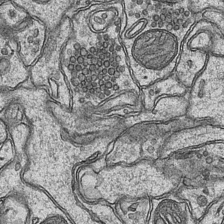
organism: Mouse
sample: CA1 Hippocampus